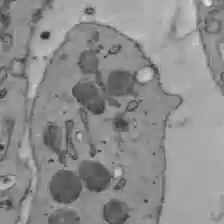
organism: C57BL Mouse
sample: Liver